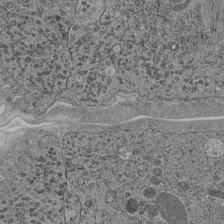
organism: C. elegans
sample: C. elegans pharynx